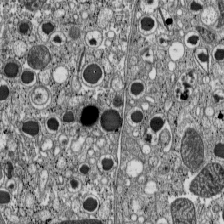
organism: C57BL Mouse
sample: Pancreatic islet